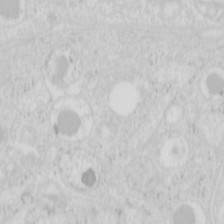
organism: Mouse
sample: Pancreas